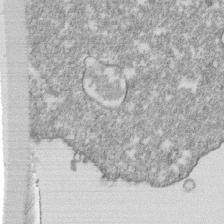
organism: African green monkey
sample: Vero E6 cells infected with SARS-CoV-2